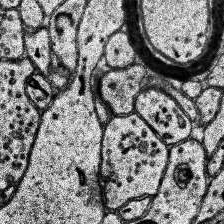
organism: Human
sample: Temporal Lobe